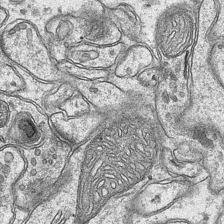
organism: Mouse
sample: CA1 Hippocampus